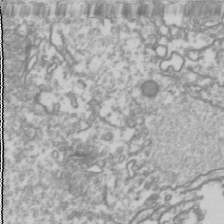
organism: Drosophila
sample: Cell division; meiosis; drosophila spermatocytes